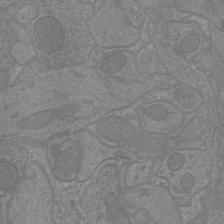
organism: Mouse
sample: Cortical neurons